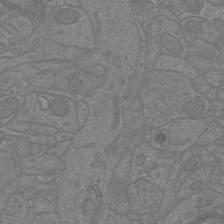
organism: Mouse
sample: Cortical neurons